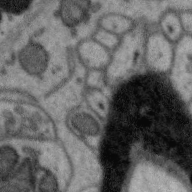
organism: Zebra finch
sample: Brain